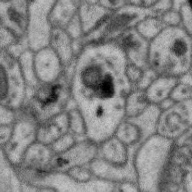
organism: Zebra finch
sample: Brain